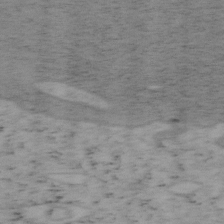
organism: Mouse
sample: OT-I killer T cells with ID8 ovarian cancer cells